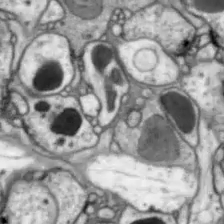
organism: Drosophila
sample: Optic lobe